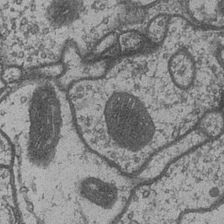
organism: Drosophila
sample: Optic medulla